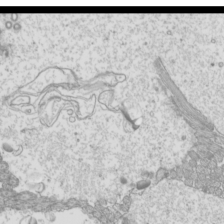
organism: Mouse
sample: Cilia; mouse epididymis